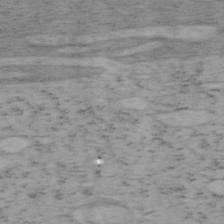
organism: Mouse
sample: OT-I killer T cells with ID8 ovarian cancer cells